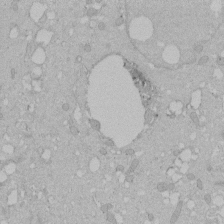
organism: Human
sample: Melanocyte Keratinocyte synapse skin construct